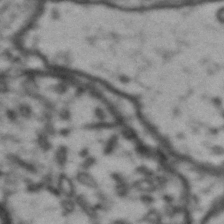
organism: Drosophila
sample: Brain